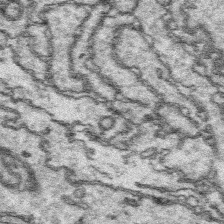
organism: Platynereis dumerilii